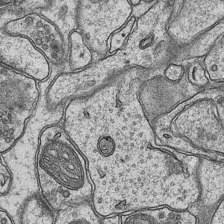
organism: Mouse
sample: CA1 Hippocampus